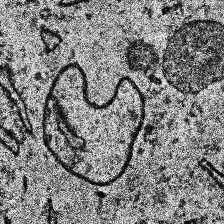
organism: Human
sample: Temporal Lobe